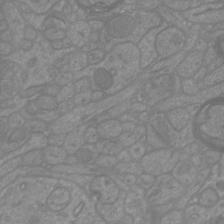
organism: Mouse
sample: Cortical neurons